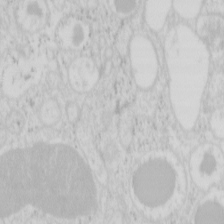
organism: Mouse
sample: Pancreas